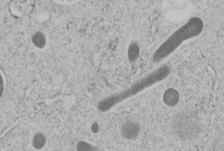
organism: C. elegans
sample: C. elegans embryo early stage